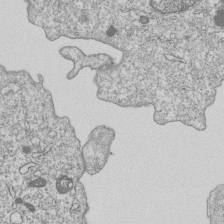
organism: Human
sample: MDA-MB-231 cells